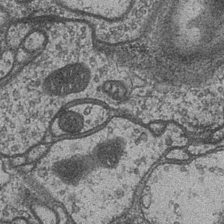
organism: Drosophila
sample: Optic medulla